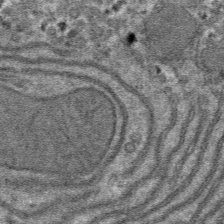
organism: Mouse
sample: Mouse hepatocytes